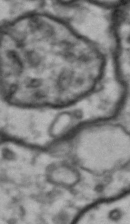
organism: Drosophila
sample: Brain